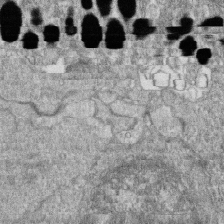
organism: Zebrafish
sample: Cilia; retinal pigment epithelium